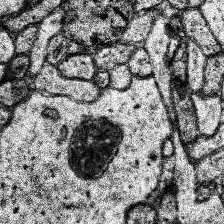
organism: Human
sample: Temporal Lobe